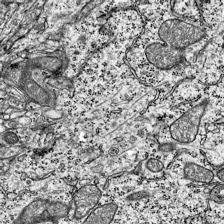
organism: Mouse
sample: Visual Cortex